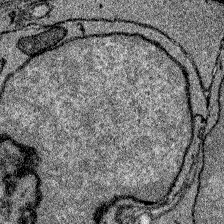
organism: Zebrafish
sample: Larval olfactory bulb